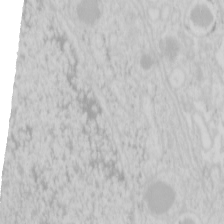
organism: Mouse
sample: Pancreas